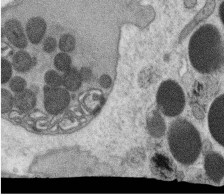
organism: C. elegans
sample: C. elegans oocyte; sperm cells